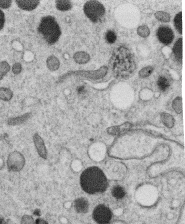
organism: C. elegans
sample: C. elegans oocyte; sperm cells